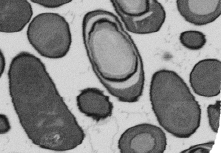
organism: B. subtilis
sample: Bacterial spore